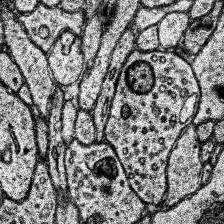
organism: Human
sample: Temporal Lobe